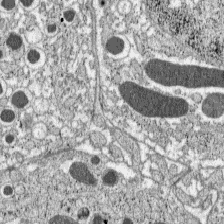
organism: C57BL Mouse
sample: Pancreatic islet